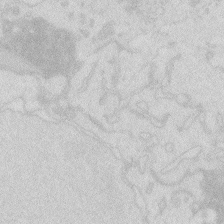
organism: Zebrafish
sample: Macrophage